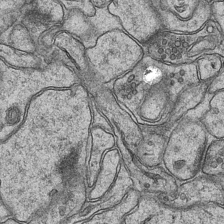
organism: Mouse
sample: CA1 Hippocampus